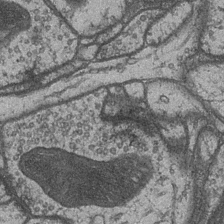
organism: Drosophila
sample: Optic medulla